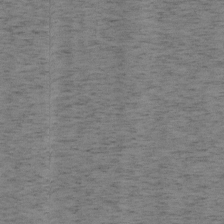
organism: Mouse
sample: OT-I killer T cells with ID8 ovarian cancer cells